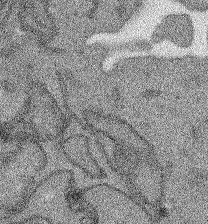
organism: Human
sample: HeLa cells